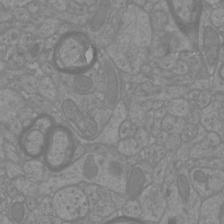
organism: Mouse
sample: Cortical neurons